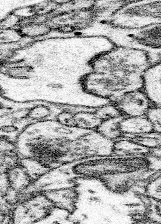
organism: Mouse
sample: Somatosensory cortex neuropil